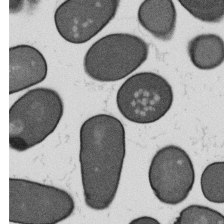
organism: B. subtilis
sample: Bacterial spore